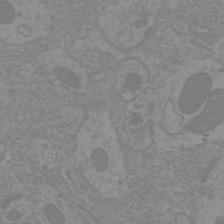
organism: Mouse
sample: Cortical neurons